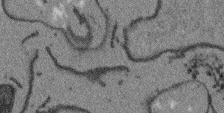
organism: Arabidopsis thaliana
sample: Root tip